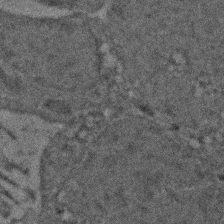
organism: Zebrafish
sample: Zebrafish embryo